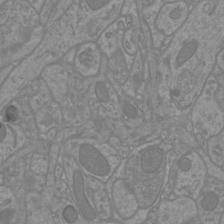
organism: Mouse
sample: Cortical neurons